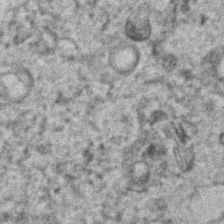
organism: Human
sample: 1205lu cells